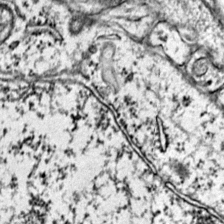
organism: Mouse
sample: Primary visual cortex